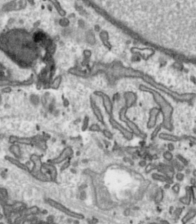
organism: Toxoplasma gondii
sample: Parasites in a vacuole inside a host cell